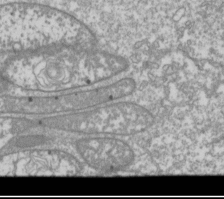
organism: Drosophila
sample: Cell division; meiosis; drosophila spermatocytes